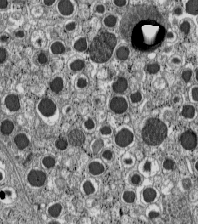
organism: C57BL Mouse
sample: Pancreatic islet